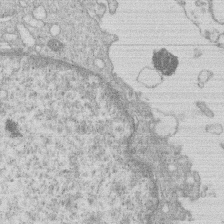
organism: Human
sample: Macrophage cells